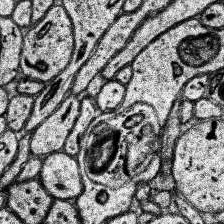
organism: Human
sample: Temporal Lobe